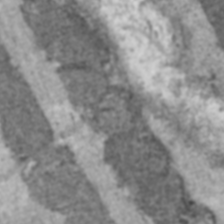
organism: C57BL Mouse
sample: Heart